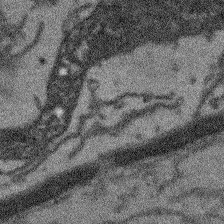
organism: Arabidopsis thaliana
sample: Root tip